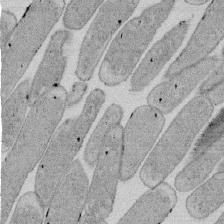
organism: E. coli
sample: Bacterial nucleoid